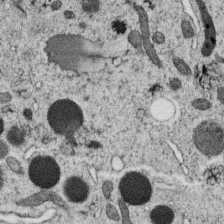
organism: C. elegans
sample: C. elegans oocyte; sperm cells